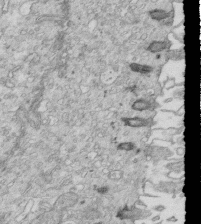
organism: Mouse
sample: Multiciliated cells